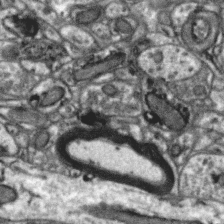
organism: Zebra finch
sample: Brain